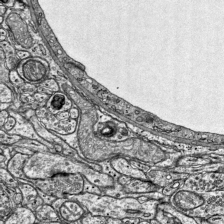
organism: Mouse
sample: Visual Cortex